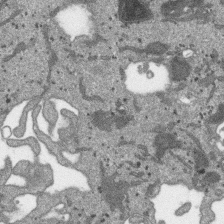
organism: Human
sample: Lung epithelial cells infected with SARS-CoV-2